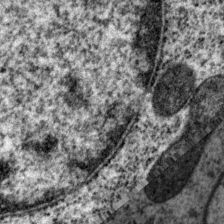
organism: P. pacificus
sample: Pharynx